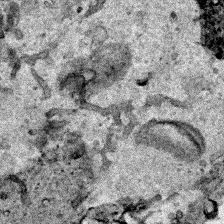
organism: Human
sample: Mitochondria in HCT116 cells